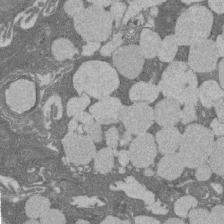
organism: Rat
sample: Salivary granule